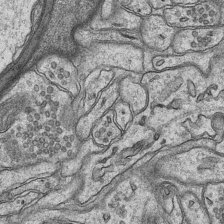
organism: Mouse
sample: CA1 Hippocampus